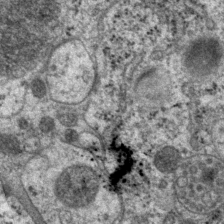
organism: P. pacificus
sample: Pharynx